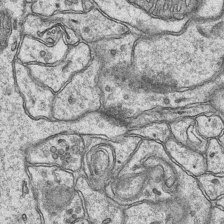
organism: Mouse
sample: CA1 Hippocampus